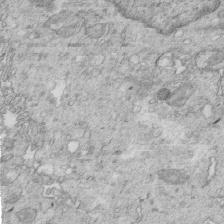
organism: Mouse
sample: Multiciliated cells